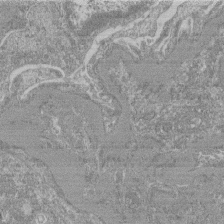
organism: Mouse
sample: Glomerulus